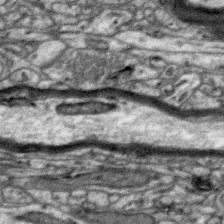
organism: Zebra finch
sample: Brain